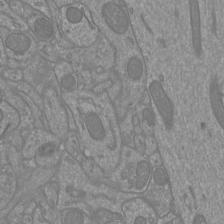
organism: Mouse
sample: Cortical neurons